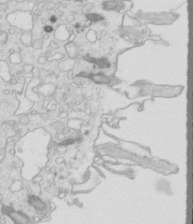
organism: Mouse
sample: Multiciliated cells